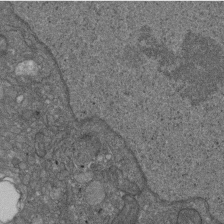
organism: Drosophila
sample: Nephrocyte